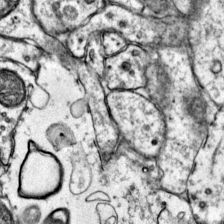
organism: Mouse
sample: Primary visual cortex